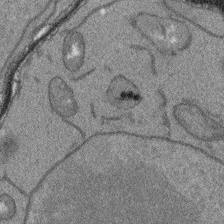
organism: Arabidopsis thaliana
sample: Root tip